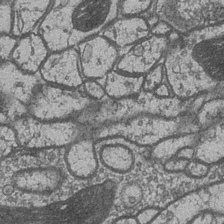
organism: Drosophila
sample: Optic medulla